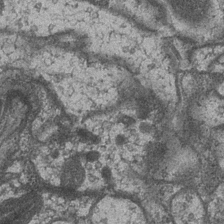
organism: Drosophila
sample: Optic medulla